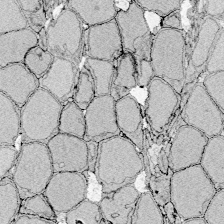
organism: Zebrafish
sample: Whole-Brain